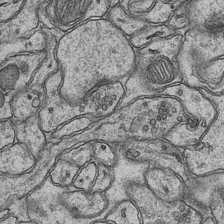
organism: Mouse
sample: CA1 Hippocampus